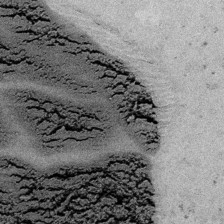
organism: Embia sp.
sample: Silk gland